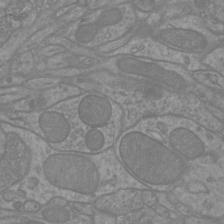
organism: Mouse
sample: Cortical neurons